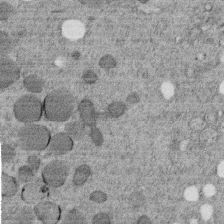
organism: C. elegans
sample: C. elegans embryo early stage